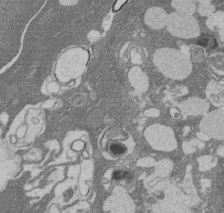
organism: Rat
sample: Salivary granule